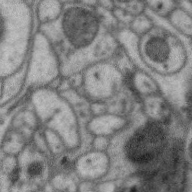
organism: Zebra finch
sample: Brain